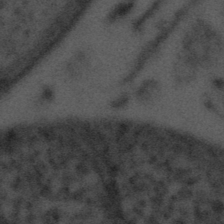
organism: Tuwongella immobilis